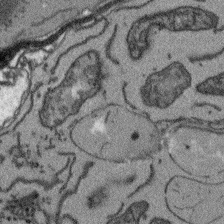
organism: Arabidopsis thaliana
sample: Root tip